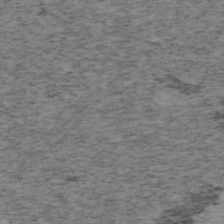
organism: Mouse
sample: OT-I killer T cells with ID8 ovarian cancer cells